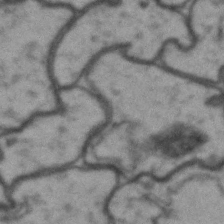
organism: Drosophila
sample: Brain